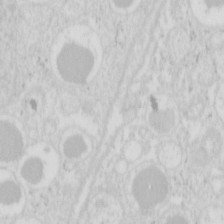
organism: Mouse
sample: Pancreas